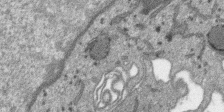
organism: Human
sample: Lung epithelial cells infected with SARS-CoV-2